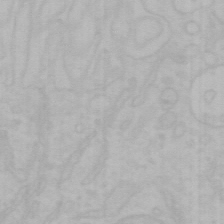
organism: Mouse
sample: Choroid plexus